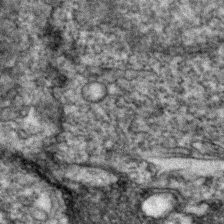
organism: Zebrafish